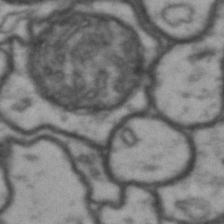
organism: Drosophila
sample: Brain